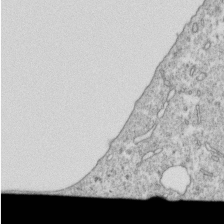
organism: Mouse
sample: Activated OT-1 CD8+ T cells